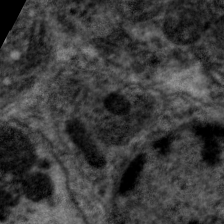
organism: C. elegans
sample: Pharynx